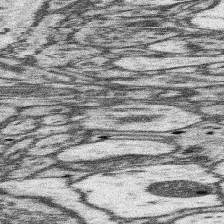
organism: Mouse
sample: Somatosensory cortex neuropil